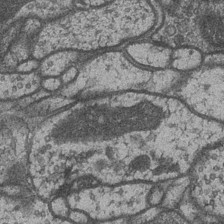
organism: Drosophila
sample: Optic medulla